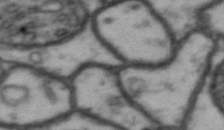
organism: Drosophila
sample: Brain